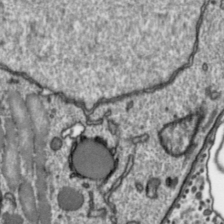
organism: Toxoplasma gondii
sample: Parasites in a vacuole inside a host cell